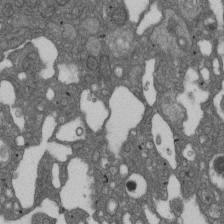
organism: Drosophila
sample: Nephrocyte